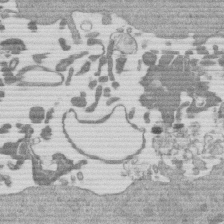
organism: Mouse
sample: Dividing mouse embryo 1 cell stage